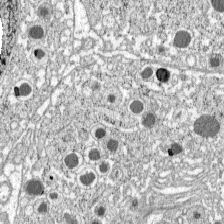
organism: C57BL Mouse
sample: Pancreatic islet